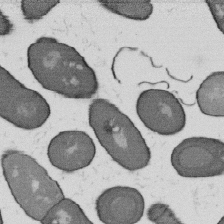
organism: B. subtilis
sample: Bacterial spore